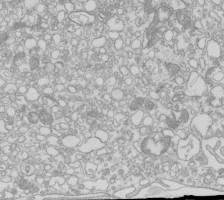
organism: Mouse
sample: Macrophages